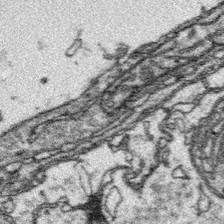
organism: Platynereis dumerilii